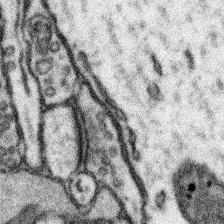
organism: Mouse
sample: Somatosensory cortex neuropil